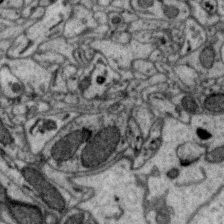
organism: Zebra finch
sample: Brain